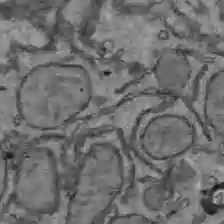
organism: C57BL Mouse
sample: Liver